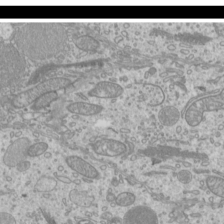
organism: Mouse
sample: Cilia; mouse epididymis